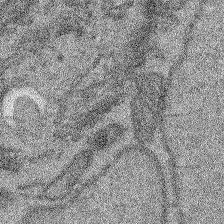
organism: Human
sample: HeLa cells